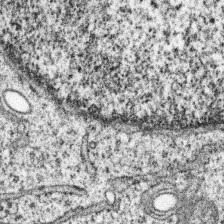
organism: Human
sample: HeLa cells